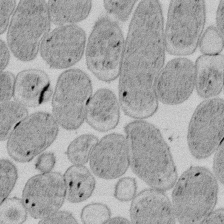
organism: E. coli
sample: Bacterial nucleoid